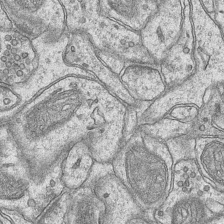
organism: Mouse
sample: CA1 Hippocampus